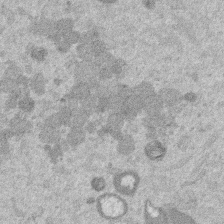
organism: Mouse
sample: Dividing mouse embryo 1 cell stage